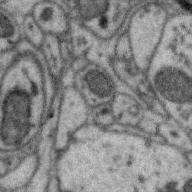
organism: Zebra finch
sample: Brain